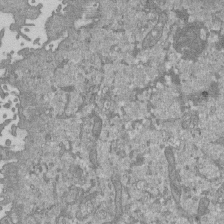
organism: Mouse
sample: ED-1 cell nuclei; centrioles